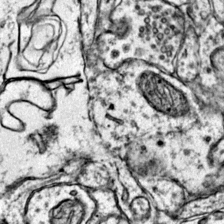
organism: Mouse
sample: Primary visual cortex